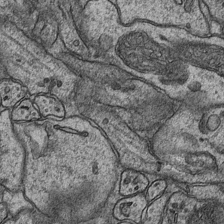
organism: Mouse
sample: CA1 Hippocampus